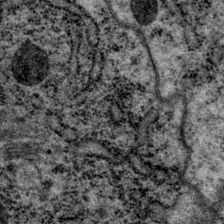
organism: P. pacificus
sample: Pharynx